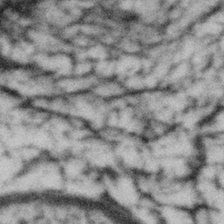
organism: Gemmata obscuriglobus